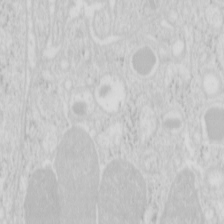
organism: Mouse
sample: Pancreas